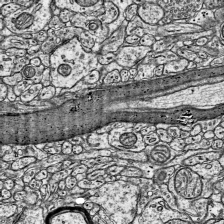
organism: Mouse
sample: Visual Cortex